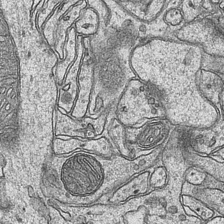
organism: Mouse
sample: CA1 Hippocampus